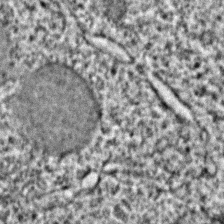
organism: C. elegans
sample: C. elegans embryo